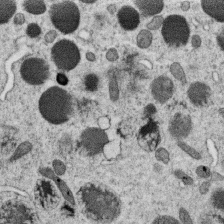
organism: C. elegans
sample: C. elegans oocyte; sperm cells